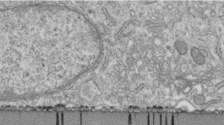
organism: Human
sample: Centriole in fibroblast cells